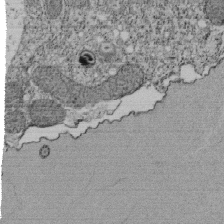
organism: Tetrahymena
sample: Cilia in tetrahymena